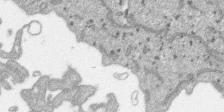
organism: Human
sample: Lung epithelial cells infected with SARS-CoV-2